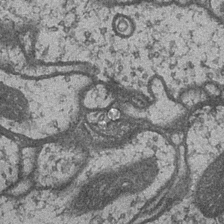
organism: Drosophila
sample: Optic medulla